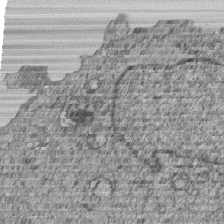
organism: Human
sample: MDA-MB-231 cells